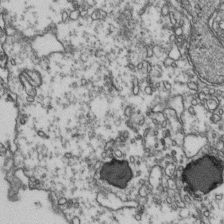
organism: Human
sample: Activated Jurkat CD4+ T cells